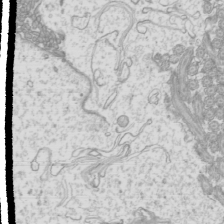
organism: Mouse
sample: Cilia; mouse epididymis